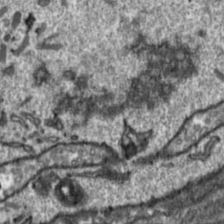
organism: Toxoplasma gondii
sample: Parasites in a vacuole inside a host cell